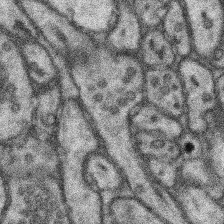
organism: Mouse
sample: Somatosensory cortex neuropil